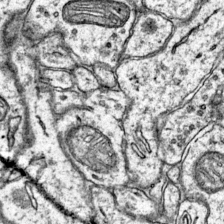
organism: Mouse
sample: Primary visual cortex